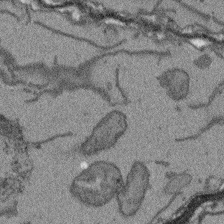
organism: Arabidopsis thaliana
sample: Root tip